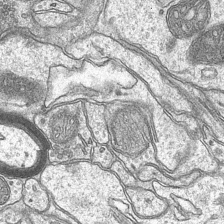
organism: Mouse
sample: CA1 Hippocampus